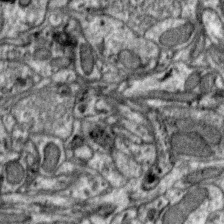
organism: Zebra finch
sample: Brain